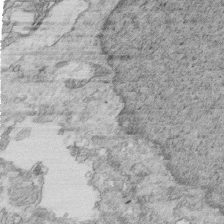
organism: Mouse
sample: Multiciliated cells